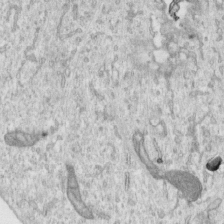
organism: Human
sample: Centriole in RPE cells